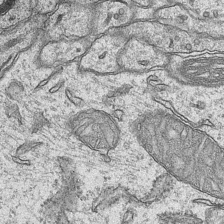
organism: Mouse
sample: CA1 Hippocampus